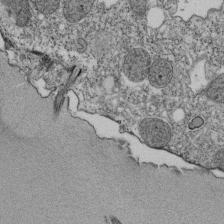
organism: Tetrahymena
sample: Cilia in tetrahymena